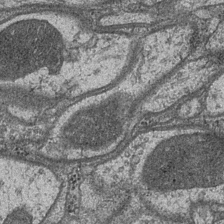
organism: Drosophila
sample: Optic medulla